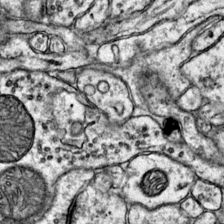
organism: Mouse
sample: Primary visual cortex